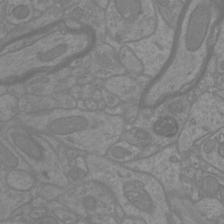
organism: Mouse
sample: Cortical neurons